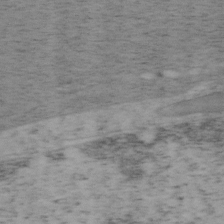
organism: Mouse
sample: OT-I killer T cells with ID8 ovarian cancer cells